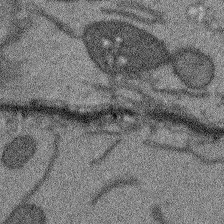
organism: Arabidopsis thaliana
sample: Root tip